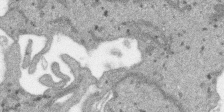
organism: Human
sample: Lung epithelial cells infected with SARS-CoV-2